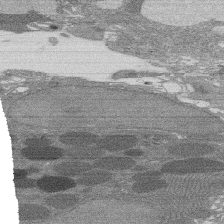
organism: Rat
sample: Salivary granule